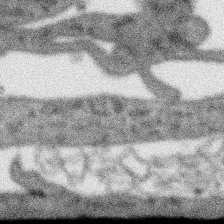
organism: Human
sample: Lung epithelial cells infected with SARS-CoV-2